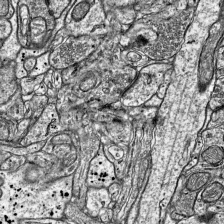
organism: Mouse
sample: Visual Cortex